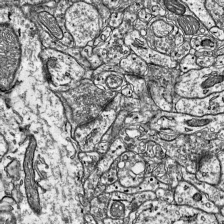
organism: Mouse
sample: Visual Cortex